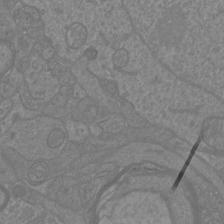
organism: Mouse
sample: Cortical neurons